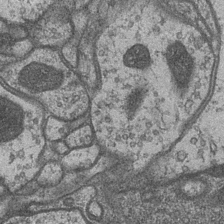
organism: Drosophila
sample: Optic medulla